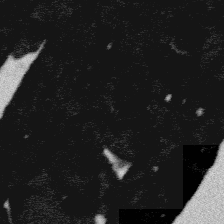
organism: Platynereis dumerilii